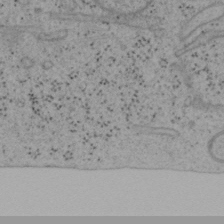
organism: Human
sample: HeLa cells